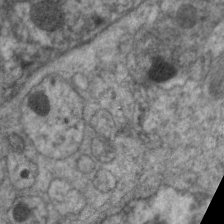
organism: C. elegans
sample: Pharynx